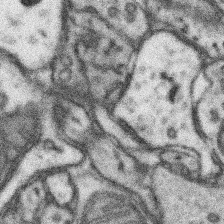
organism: Mouse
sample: Somatosensory cortex neuropil